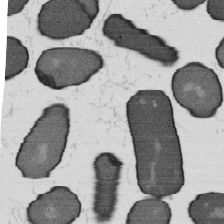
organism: B. subtilis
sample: Bacterial spore